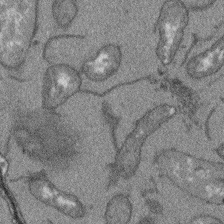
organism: Arabidopsis thaliana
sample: Root tip